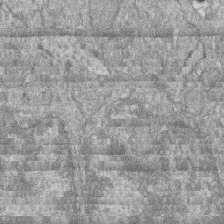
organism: Zebrafish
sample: Cilia; retinal pigment epithelium